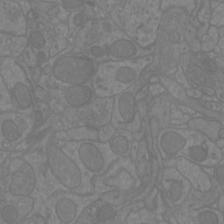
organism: Mouse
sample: Cortical neurons